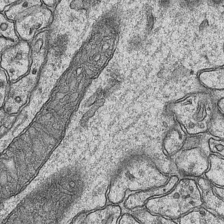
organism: Mouse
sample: CA1 Hippocampus